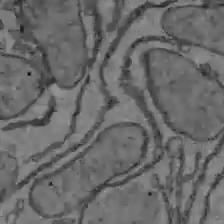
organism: C57BL Mouse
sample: Liver